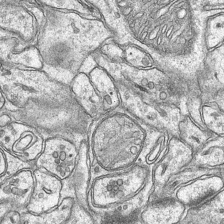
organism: Mouse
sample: CA1 Hippocampus